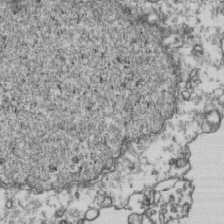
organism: Human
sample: Activated Jurkat CD4+ T cells